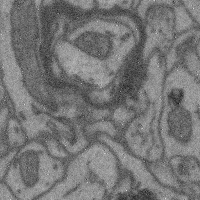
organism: Mouse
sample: Cerebral cortex